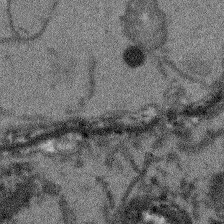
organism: Arabidopsis thaliana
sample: Root tip